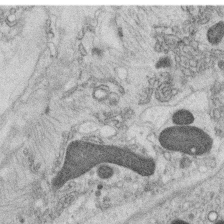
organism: C. elegans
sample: C. elegans oocyte; sperm cells